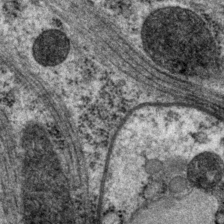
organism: P. pacificus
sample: Pharynx